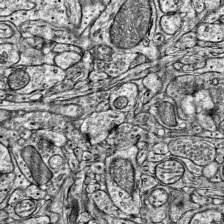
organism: Mouse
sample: Visual Cortex